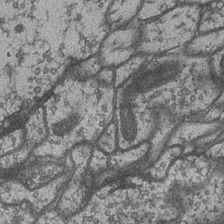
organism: Drosophila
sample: Optic medulla